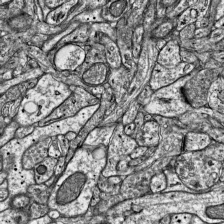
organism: Mouse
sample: Visual Cortex